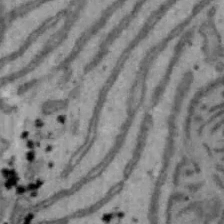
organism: Mouse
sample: Liver